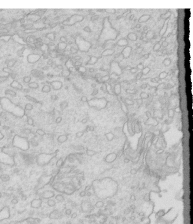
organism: Mouse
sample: Multiciliated cells